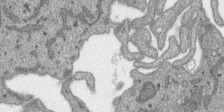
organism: Human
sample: Lung epithelial cells infected with SARS-CoV-2